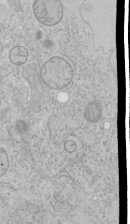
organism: Human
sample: Mitochondria in HCT116 cells